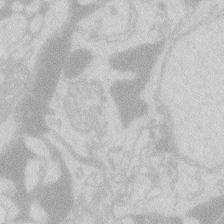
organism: Zebrafish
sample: Macrophage